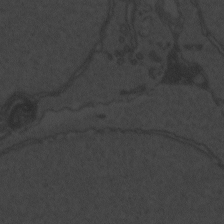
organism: Zebrafish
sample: Macrophage infected with Toxoplasma gondii